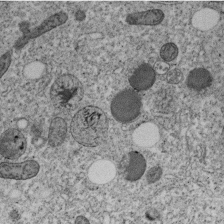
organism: C. elegans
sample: C. elegans embryo early stage